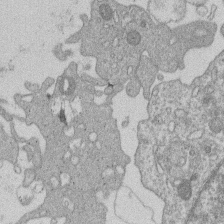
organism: Human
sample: Macrophage cells